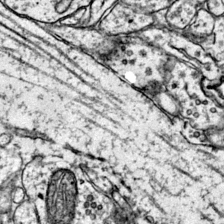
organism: Mouse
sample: Primary visual cortex